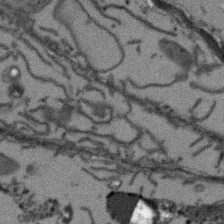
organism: Arabidopsis thaliana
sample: Root tip